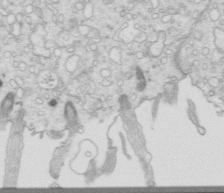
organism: Mouse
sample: Multiciliated cells